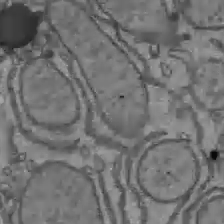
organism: C57BL Mouse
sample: Liver